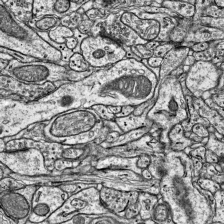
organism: Mouse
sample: Visual Cortex